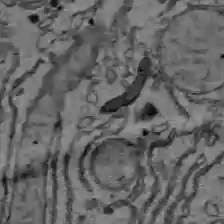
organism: C57BL Mouse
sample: Liver